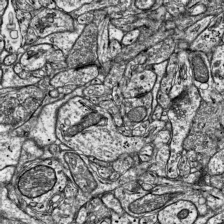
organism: Mouse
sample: Visual Cortex